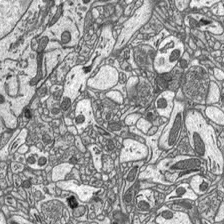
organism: C57BL Mouse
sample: Optic nerve head